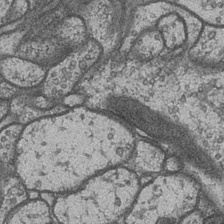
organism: Drosophila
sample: Optic medulla